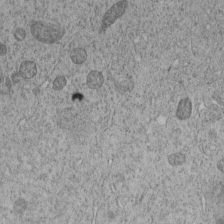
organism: C. elegans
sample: C. elegans embryo early stage